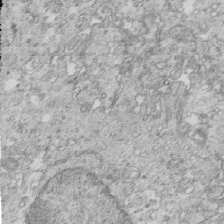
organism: Mouse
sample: Multiciliated cells